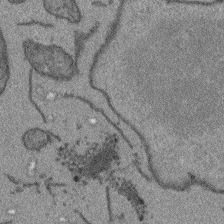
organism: Arabidopsis thaliana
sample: Root tip